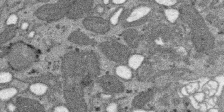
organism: Human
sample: Lung epithelial cells infected with SARS-CoV-2